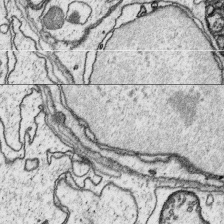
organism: Platynereis dumerilii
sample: Parapodia